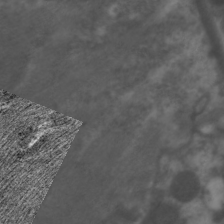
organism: C. elegans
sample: Pharynx